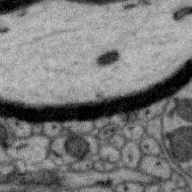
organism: Zebra finch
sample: Brain